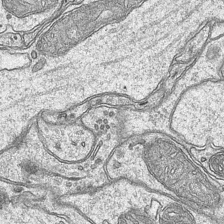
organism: Mouse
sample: CA1 Hippocampus